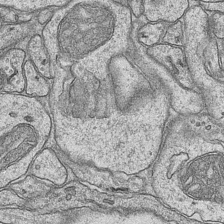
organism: Mouse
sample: CA1 Hippocampus